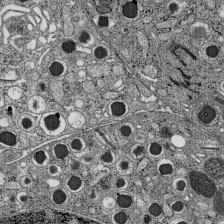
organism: C57BL Mouse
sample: Pancreatic islet